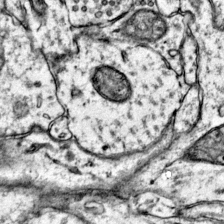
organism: Mouse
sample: Primary visual cortex